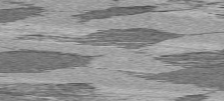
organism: C57BL Mouse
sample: Heart